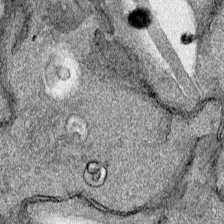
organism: Human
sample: Mitochondria in HCT116 cells